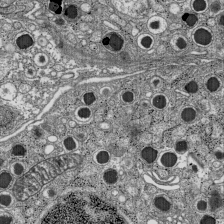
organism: C57BL Mouse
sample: Pancreatic islet